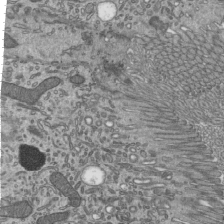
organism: Mouse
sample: Mouse epididymis efferent ductule cilia